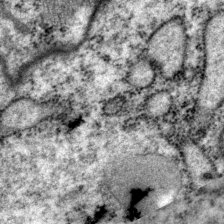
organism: P. pacificus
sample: Pharynx